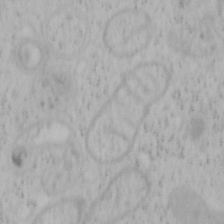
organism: Mouse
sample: OT-I killer T cells with ID8 ovarian cancer cells